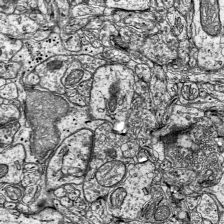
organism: Mouse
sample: Visual Cortex